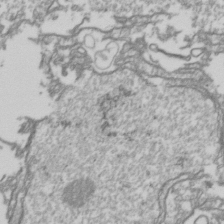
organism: Drosophila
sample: Cell division; meiosis; drosophila spermatocytes